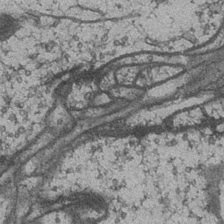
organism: Drosophila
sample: Optic medulla